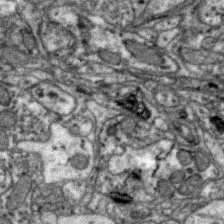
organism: Zebra finch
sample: Brain